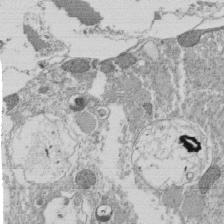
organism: Tetrahymena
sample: Cilia in tetrahymena